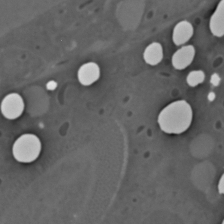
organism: C. elegans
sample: C. elegans embryo